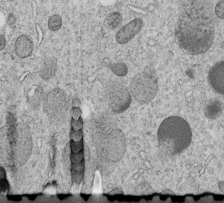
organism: C. elegans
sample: C. elegans embryo early stage